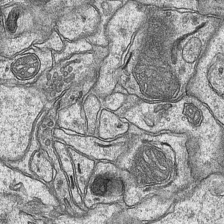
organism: Mouse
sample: CA1 Hippocampus